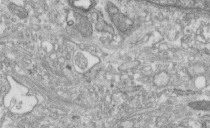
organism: Human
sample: Centriole in fibroblast cells